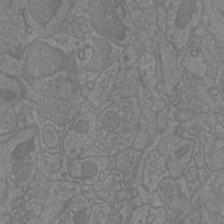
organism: Mouse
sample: Cortical neurons